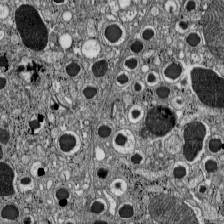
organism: C57BL Mouse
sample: Pancreatic islet